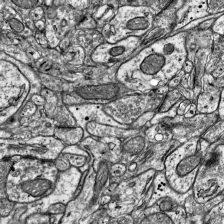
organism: Mouse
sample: Visual Cortex